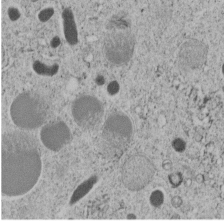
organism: C. elegans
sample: C. elegans embryo early stage